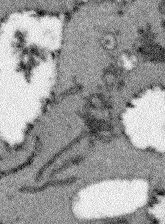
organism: Arabidopsis thaliana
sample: Root tip